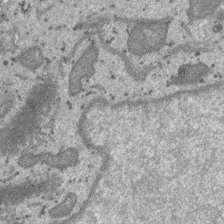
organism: Human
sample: Lung epithelial cells infected with SARS-CoV-2